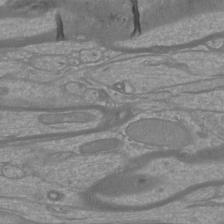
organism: Mouse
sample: Cortical neurons